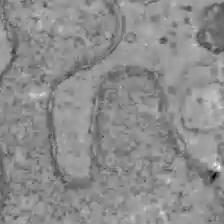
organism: C57BL Mouse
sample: Liver